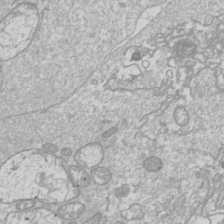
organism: Drosophila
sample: Cell division; meiosis; drosophila spermatocytes